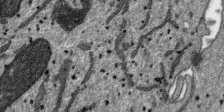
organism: Human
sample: Lung epithelial cells, uninfected (mock) control